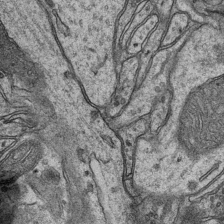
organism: Mouse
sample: CA1 Hippocampus